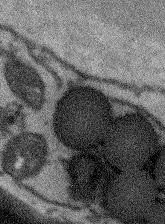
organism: Arabidopsis thaliana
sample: Root tip